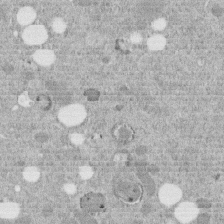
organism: C. elegans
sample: C. elegans embryo early stage